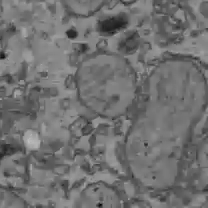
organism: C57BL Mouse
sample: Liver